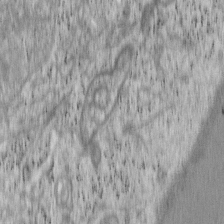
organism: Human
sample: HeLa cells